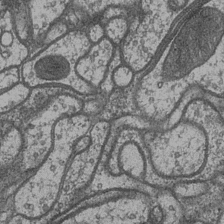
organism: Drosophila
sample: Optic medulla